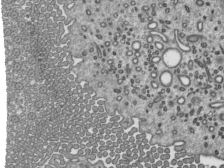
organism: Mouse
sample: Mouse epididymis efferent ductule cilia